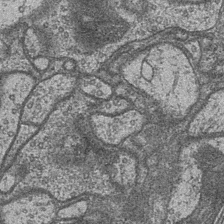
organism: Drosophila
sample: Optic medulla